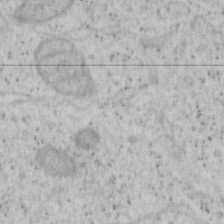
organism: Human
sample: HeLa cells